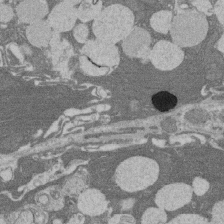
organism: Rat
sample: Salivary granule